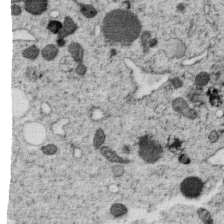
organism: C. elegans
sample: C. elegans oocyte; sperm cells